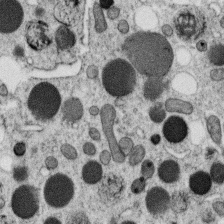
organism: C. elegans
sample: C. elegans oocyte; sperm cells